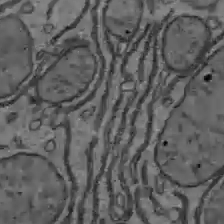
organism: C57BL Mouse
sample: Liver